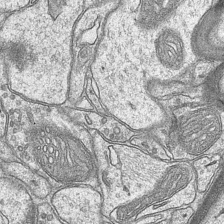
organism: Mouse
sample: CA1 Hippocampus